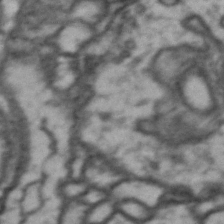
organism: Drosophila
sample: Brain